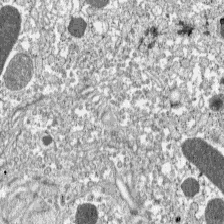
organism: C57BL Mouse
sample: Pancreatic islet